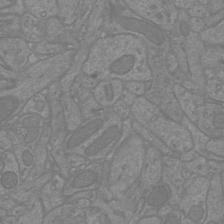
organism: Mouse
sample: Cortical neurons